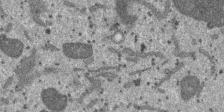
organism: Human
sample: Lung epithelial cells infected with SARS-CoV-2